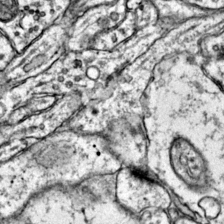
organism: Mouse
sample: Primary visual cortex